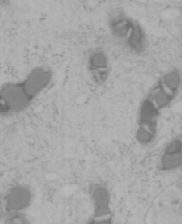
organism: Mouse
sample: OT-I killer T cells with ID8 ovarian cancer cells